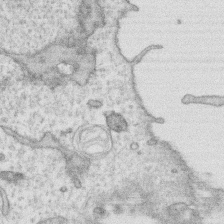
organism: Human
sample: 1205lu cells